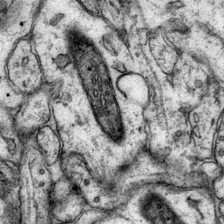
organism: Mouse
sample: Primary visual cortex